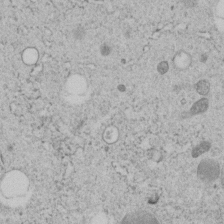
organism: C. elegans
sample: C. elegans embryo early stage